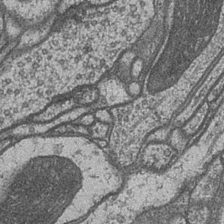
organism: Drosophila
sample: Optic medulla